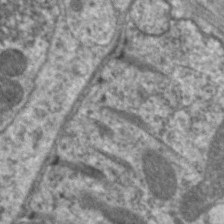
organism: C. elegans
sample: Pharynx